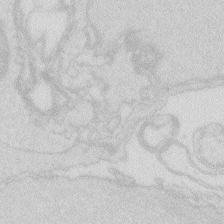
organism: Zebrafish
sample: Macrophage